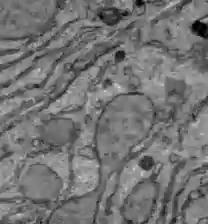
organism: C57BL Mouse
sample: Liver